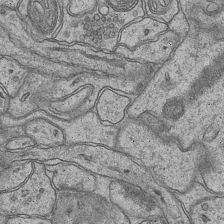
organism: Mouse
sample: CA1 Hippocampus